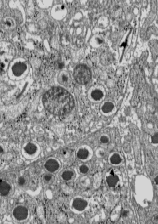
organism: C57BL Mouse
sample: Pancreatic islet